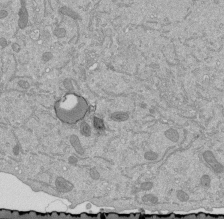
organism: Mouse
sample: ED-1 cell nuclei; centrioles